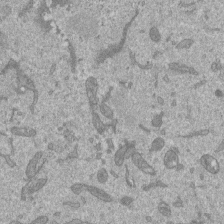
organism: Mouse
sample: ED-1 cell nuclei; centrioles